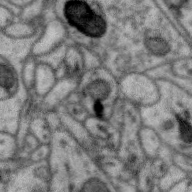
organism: Zebra finch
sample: Brain